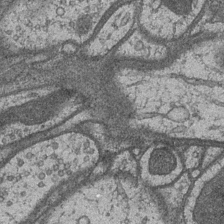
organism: Drosophila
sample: Optic medulla